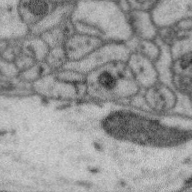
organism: Zebra finch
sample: Brain